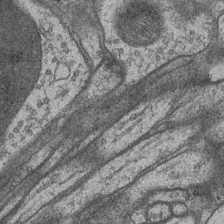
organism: Drosophila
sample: Optic medulla